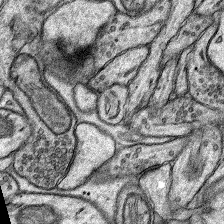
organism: Rat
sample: Hippocampus